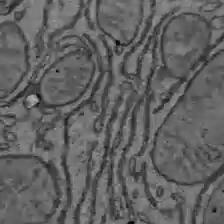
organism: C57BL Mouse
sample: Liver